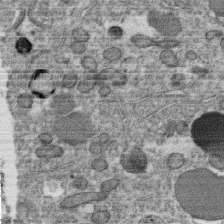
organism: C. elegans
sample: C. elegans oocyte; sperm cells